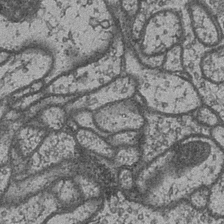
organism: Drosophila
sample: Optic medulla